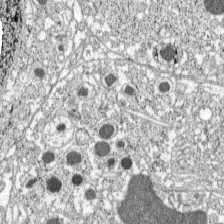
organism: C57BL Mouse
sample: Pancreatic islet